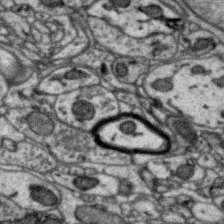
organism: Zebra finch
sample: Brain